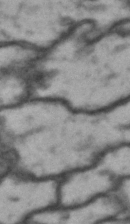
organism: Drosophila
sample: Brain